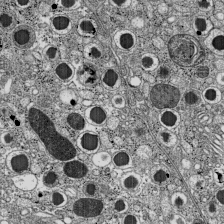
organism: C57BL Mouse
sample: Pancreatic islet